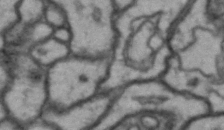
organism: Drosophila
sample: Brain